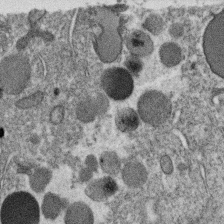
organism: C. elegans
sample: C. elegans oocyte; sperm cells